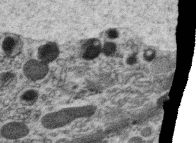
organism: C. elegans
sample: C. elegans oocyte; sperm cells